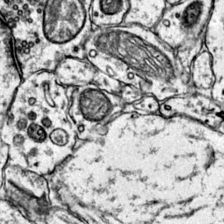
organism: Mouse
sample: Primary visual cortex